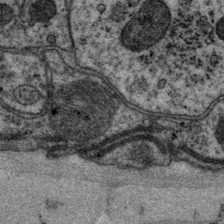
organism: P. pacificus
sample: Pharynx